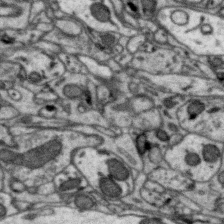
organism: Zebra finch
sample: Brain